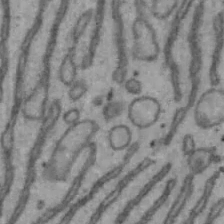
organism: Mouse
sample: Liver